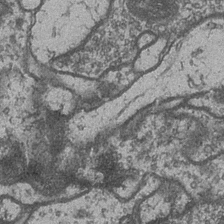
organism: Drosophila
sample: Optic medulla